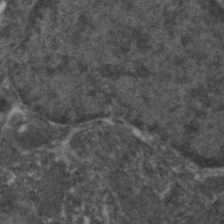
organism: Zebrafish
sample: Zebrafish embryo